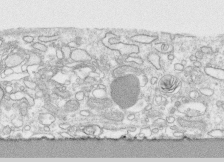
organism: Human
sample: CRL-1474